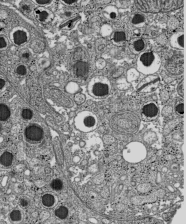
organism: C57BL Mouse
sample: Pancreatic islet